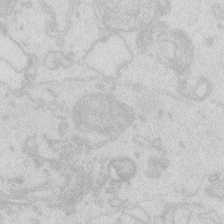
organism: Zebrafish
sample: Macrophage